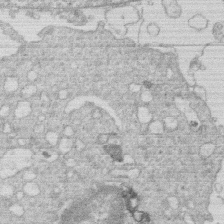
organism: Human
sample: Macrophage cells